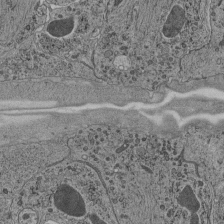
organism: C. elegans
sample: C. elegans pharynx